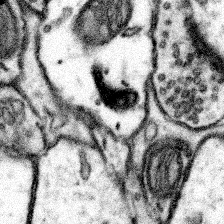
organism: Mouse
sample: Somatosensory cortex neuropil